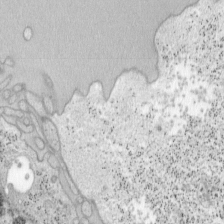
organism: Mouse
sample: OT-I killer T cells with ID8 ovarian cancer cells